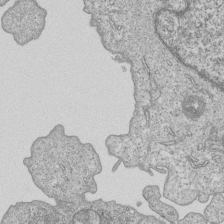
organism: Human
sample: MDA-MB-231 cells